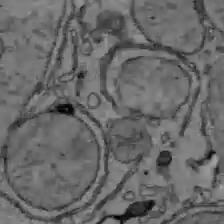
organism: C57BL Mouse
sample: Liver